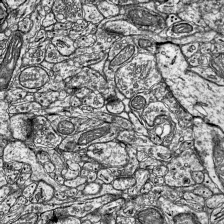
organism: Mouse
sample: Visual Cortex